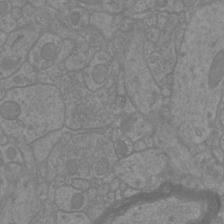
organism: Mouse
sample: Cortical neurons